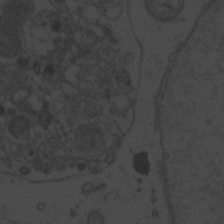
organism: Zebrafish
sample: Macrophage infected with Toxoplasma gondii